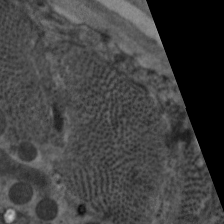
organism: C. elegans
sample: Pharynx